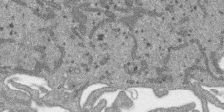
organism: Human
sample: Lung epithelial cells infected with SARS-CoV-2